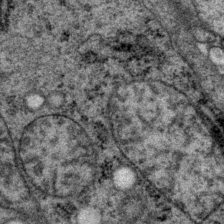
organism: P. pacificus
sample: Pharynx